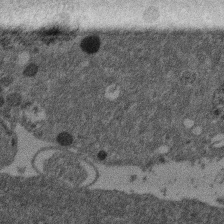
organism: Mouse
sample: Dividing mouse embryo 1 cell stage